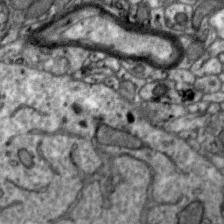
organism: Zebra finch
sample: Brain